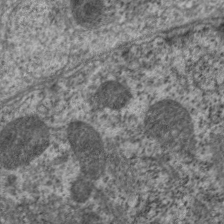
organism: C. elegans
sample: Pharynx